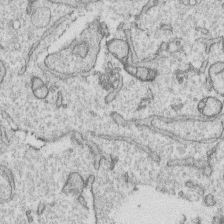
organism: Human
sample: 1205lu cells